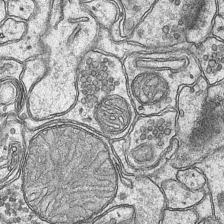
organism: Mouse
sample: CA1 Hippocampus